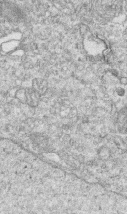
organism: Human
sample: HeLa cell HIV synapse